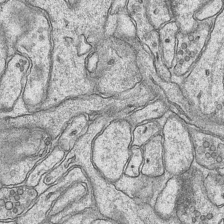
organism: Mouse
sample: CA1 Hippocampus